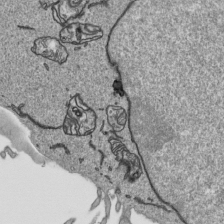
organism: Human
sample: Mitochondria in HCT116 cells